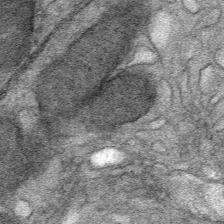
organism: Mouse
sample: Mouse Salivary gland